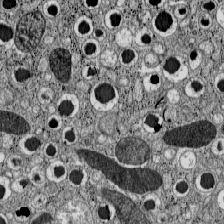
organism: C57BL Mouse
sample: Pancreatic islet